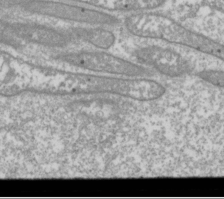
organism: Drosophila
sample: Cell division; meiosis; drosophila spermatocytes